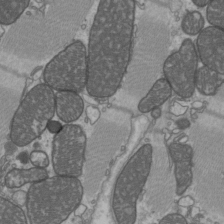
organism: C57BL Mouse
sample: Heart